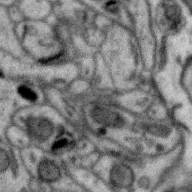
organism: Zebra finch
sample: Brain